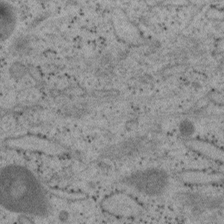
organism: Human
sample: HeLa cells